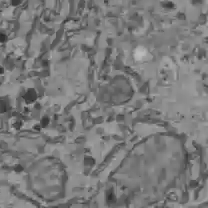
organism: C57BL Mouse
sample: Liver